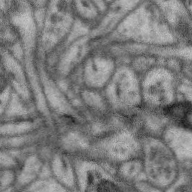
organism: Zebra finch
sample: Brain